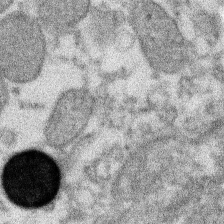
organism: Xenopus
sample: Cilia; centrioles in frog embryo cells